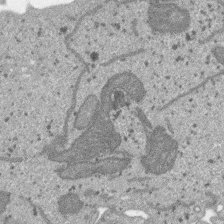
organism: Human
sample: Lung epithelial cells infected with SARS-CoV-2